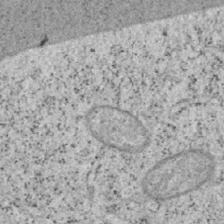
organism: Mouse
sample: OT-I killer T cells with ID8 ovarian cancer cells